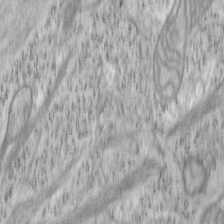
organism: Human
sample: HeLa cells